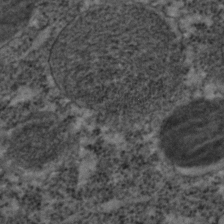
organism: C. elegans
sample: C. elegans embryo